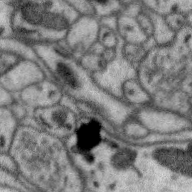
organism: Zebra finch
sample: Brain